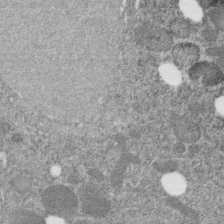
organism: C. elegans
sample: C. elegans embryo early stage